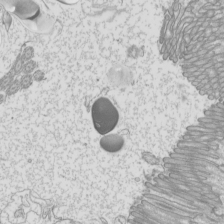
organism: Mouse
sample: Cilia; mouse epididymis